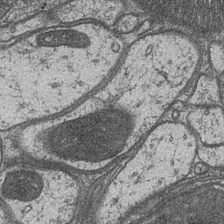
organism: Drosophila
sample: Optic medulla